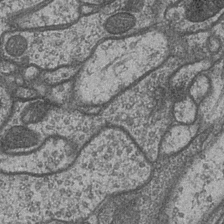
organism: Drosophila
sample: Optic medulla